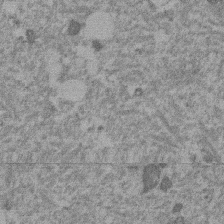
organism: Mouse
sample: Dividing mouse embryo 1 cell stage